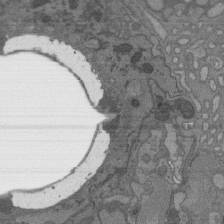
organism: C. elegans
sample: AFD neurons C. elegans